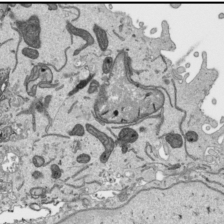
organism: Human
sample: Mitochondria in HCT116 cells